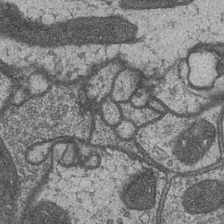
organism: Drosophila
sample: Optic medulla